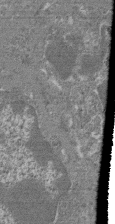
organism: Mouse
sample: Glomerulus